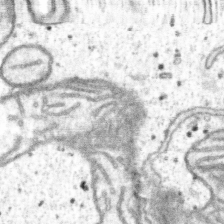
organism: Human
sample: HeLa cells